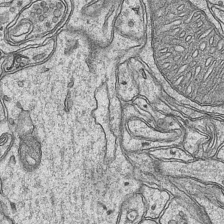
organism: Mouse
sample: CA1 Hippocampus